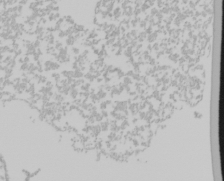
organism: Mouse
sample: Cancer cell death in ED-1 cells